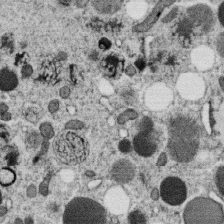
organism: C. elegans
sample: C. elegans oocyte; sperm cells